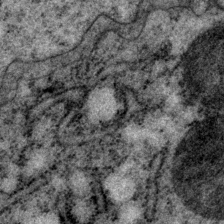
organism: P. pacificus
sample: Pharynx